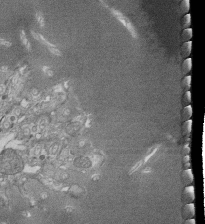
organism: Tetrahymena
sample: Cilia in tetrahymena